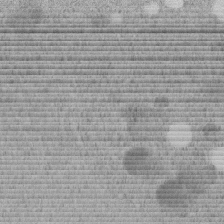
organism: C. elegans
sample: C. elegans embryo early stage